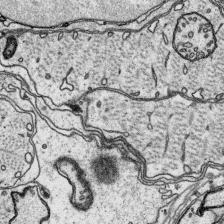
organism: Platynereis dumerilii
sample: Parapodia